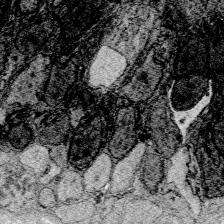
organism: Zebrafish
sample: Whole-Brain